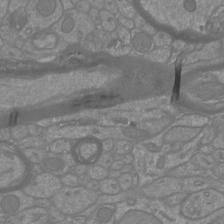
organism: Mouse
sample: Cortical neurons